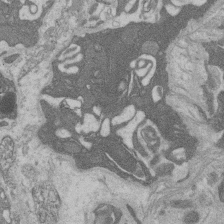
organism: Rat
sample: Salivary granule